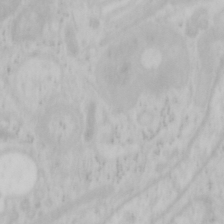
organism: Mouse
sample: OT-I killer T cells with ID8 ovarian cancer cells